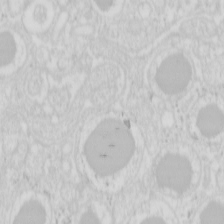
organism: Mouse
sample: Pancreas